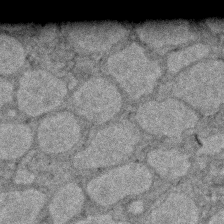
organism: Zebrafish